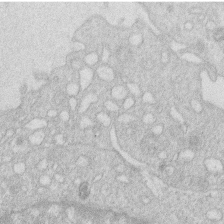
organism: Human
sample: Macrophage cells